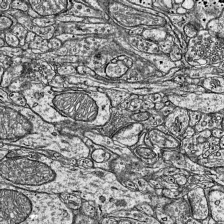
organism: Mouse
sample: Visual Cortex